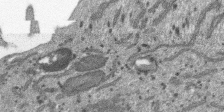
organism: Human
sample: Lung epithelial cells infected with SARS-CoV-2